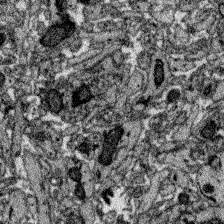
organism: Zebrafish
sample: Larval olfactory bulb